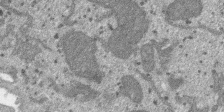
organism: Human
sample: Lung epithelial cells infected with SARS-CoV-2